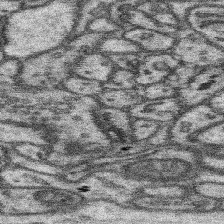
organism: Mouse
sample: Somatosensory cortex neuropil